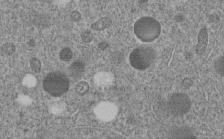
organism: C. elegans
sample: C. elegans embryo early stage